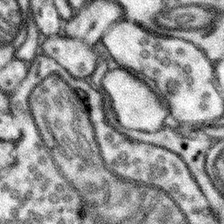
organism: Mouse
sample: Somatosensory cortex neuropil